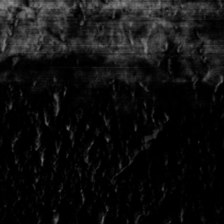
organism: Toxoplasma gondii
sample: Parasites in a vacuole inside a host cell